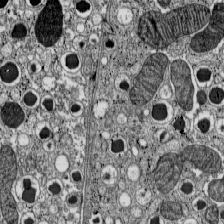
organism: C57BL Mouse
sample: Pancreatic islet